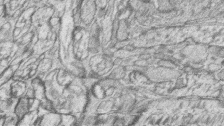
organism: Zebrafish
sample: synaptic ribbons in rod cells and cone cells